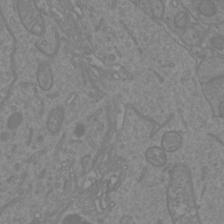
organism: Mouse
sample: Cortical neurons